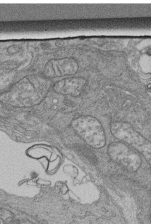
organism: Human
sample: Retinal organoid Rod and Cone cells